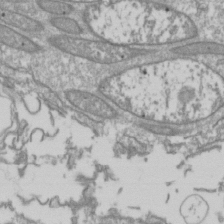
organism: Drosophila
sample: Cell division; meiosis; drosophila spermatocytes